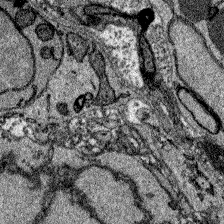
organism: Zebrafish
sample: Larval olfactory bulb